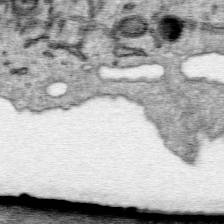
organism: Human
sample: HeLa cells